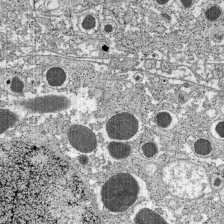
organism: C57BL Mouse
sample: Pancreatic islet